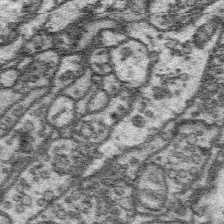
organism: Platynereis dumerilii